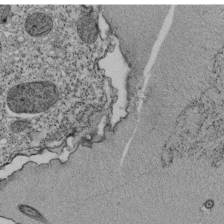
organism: Tetrahymena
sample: Cilia in tetrahymena